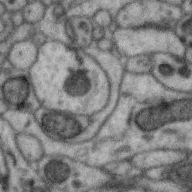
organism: Zebra finch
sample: Brain